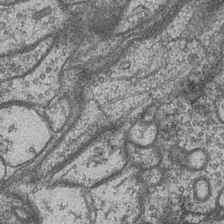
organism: Drosophila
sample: Optic medulla